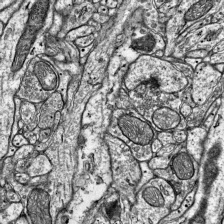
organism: Mouse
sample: Visual Cortex